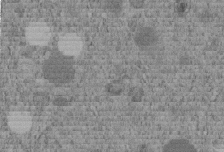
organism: C. elegans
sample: C. elegans embryo early stage